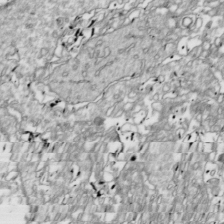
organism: Drosophila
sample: Cell division; meiosis; drosophila spermatocytes